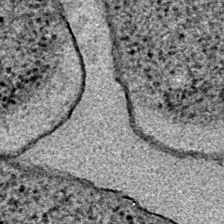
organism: E. coli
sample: E. Coli Bacteria